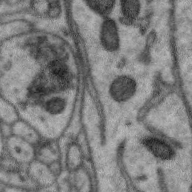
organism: Zebra finch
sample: Brain